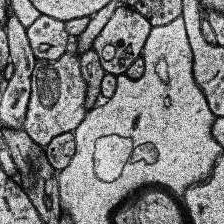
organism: Human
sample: Temporal Lobe